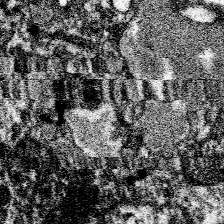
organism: Spongilla lacustris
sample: Neuroid cell